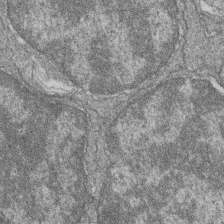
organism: Zebrafish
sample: Cilia; retinal pigment epithelium